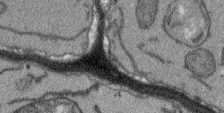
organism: Arabidopsis thaliana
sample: Root tip